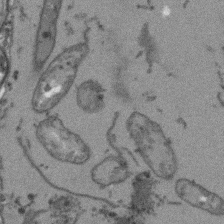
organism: Arabidopsis thaliana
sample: Root tip